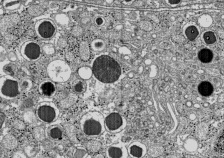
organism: C57BL Mouse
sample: Pancreatic islet